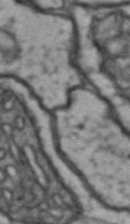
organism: Drosophila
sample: Brain